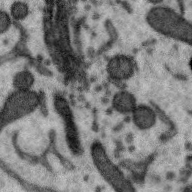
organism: Zebra finch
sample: Brain